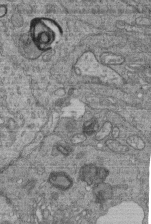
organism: Human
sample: Retinal organoid Rod and Cone cells